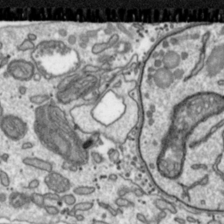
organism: Toxoplasma gondii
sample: Parasites in a vacuole inside a host cell